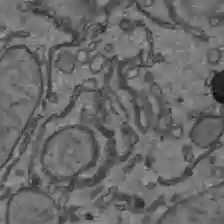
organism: C57BL Mouse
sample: Liver